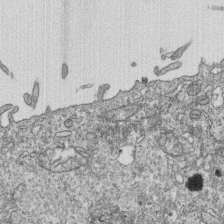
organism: Human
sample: HeLa cell HIV synapse